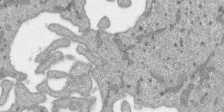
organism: Human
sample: Lung epithelial cells infected with SARS-CoV-2